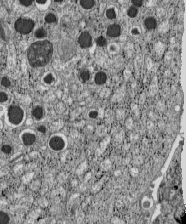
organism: C57BL Mouse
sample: Pancreatic islet